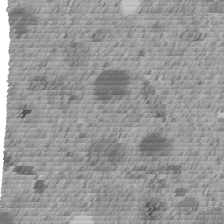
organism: C. elegans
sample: C. elegans embryo early stage